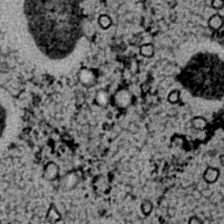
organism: C. elegans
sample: C. elegans embryo